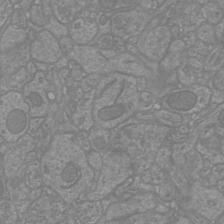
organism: Mouse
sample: Cortical neurons